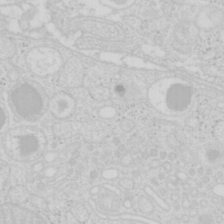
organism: Mouse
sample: Pancreas